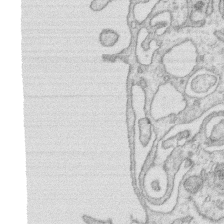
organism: Human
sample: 1205lu cells